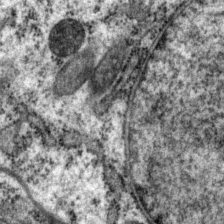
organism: P. pacificus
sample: Pharynx